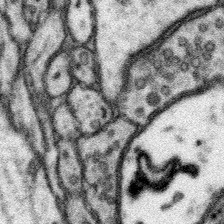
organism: Mouse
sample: Somatosensory cortex neuropil